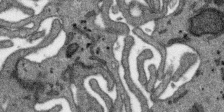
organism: Human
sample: Lung epithelial cells, uninfected (mock) control